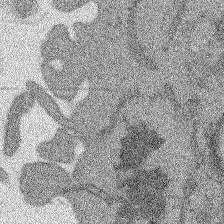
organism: Human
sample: HeLa cells